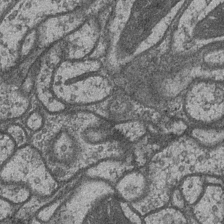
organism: Drosophila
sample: Optic medulla